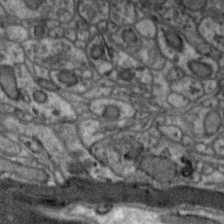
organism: Zebra finch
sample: Brain